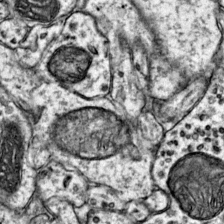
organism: Mouse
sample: Primary visual cortex